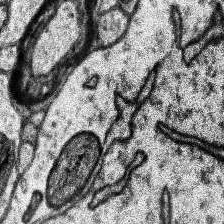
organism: Human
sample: Temporal Lobe